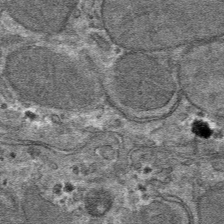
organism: Mouse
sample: Mouse hepatocytes